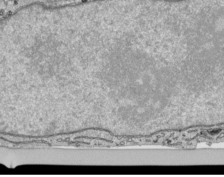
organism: Human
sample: Mitochondria in HCT116 cells